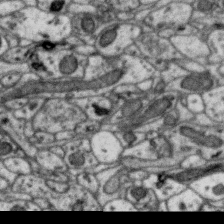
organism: Zebra finch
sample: Brain